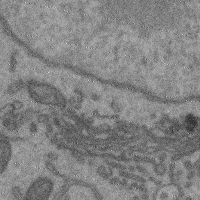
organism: Mouse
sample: Cerebral cortex